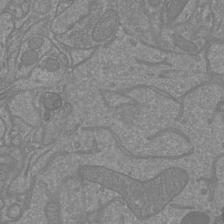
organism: Mouse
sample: Cortical neurons